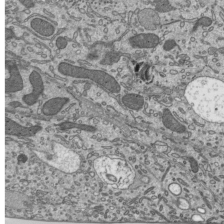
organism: Mouse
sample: Mouse epididymis efferent ductule cilia